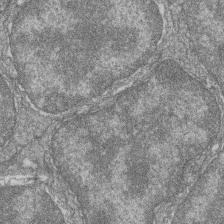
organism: Zebrafish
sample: Cilia; retinal pigment epithelium